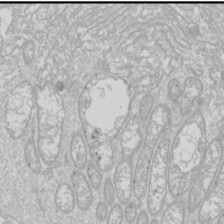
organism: Drosophila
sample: Cell division; meiosis; drosophila spermatocytes